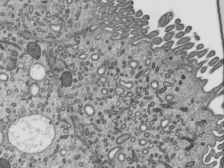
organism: Mouse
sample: Mouse epididymis efferent ductule cilia